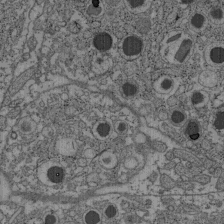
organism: C57BL Mouse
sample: Pancreatic islet